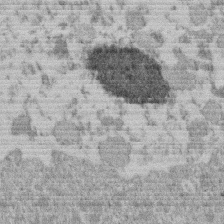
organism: Mouse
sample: Dividing mouse embryo 1 cell stage